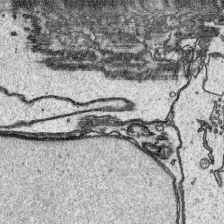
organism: Platynereis dumerilii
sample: Parapodia